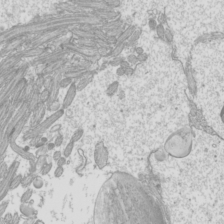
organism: Mouse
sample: Cilia; mouse epididymis